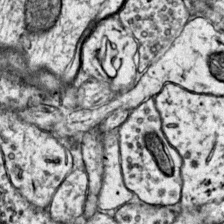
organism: Mouse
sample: Primary visual cortex